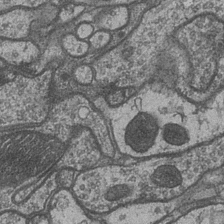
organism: Drosophila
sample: Optic medulla